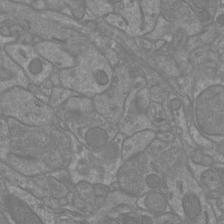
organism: Mouse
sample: Cortical neurons